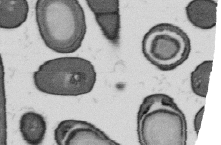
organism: B. subtilis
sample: Bacterial spore